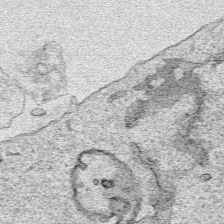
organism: Human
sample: Mitochondria in HCT116 cells